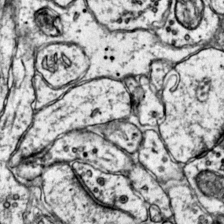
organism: Mouse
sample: Primary visual cortex